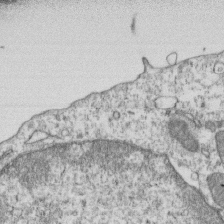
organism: Mouse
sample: Activated OT-1 CD8+ T cells